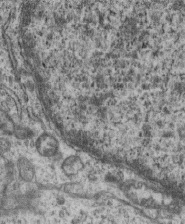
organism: Mouse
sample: Centriole in ependymal cells